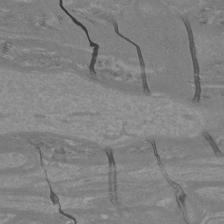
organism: Mouse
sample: Cortical neurons